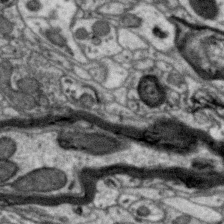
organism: Zebra finch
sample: Brain